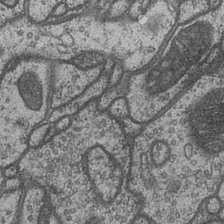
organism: Drosophila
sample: Optic medulla